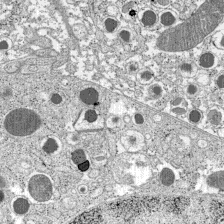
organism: C57BL Mouse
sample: Pancreatic islet